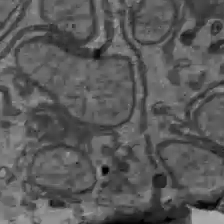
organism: C57BL Mouse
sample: Liver